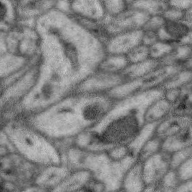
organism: Zebra finch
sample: Brain